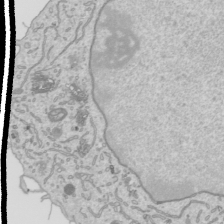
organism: Human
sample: Mitochondria in HCT116 cells